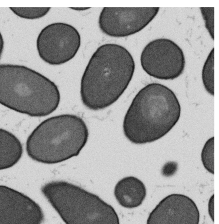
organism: B. subtilis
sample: Bacterial spore